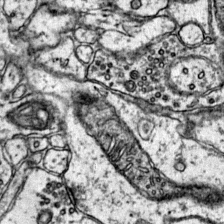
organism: Mouse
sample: Primary visual cortex